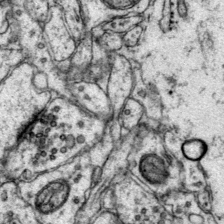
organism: Mouse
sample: Primary visual cortex